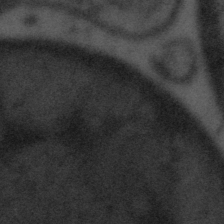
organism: Tuwongella immobilis